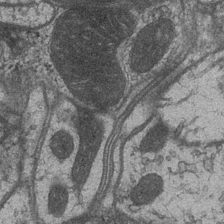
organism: Drosophila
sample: Optic medulla